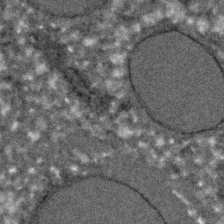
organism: C. elegans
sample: C. elegans embryo